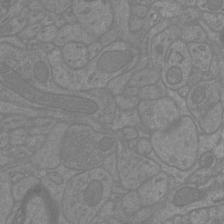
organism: Mouse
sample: Cortical neurons